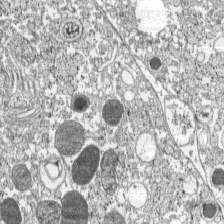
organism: C57BL Mouse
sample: Pancreatic islet